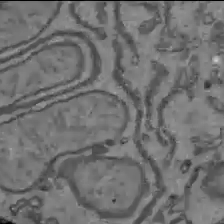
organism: C57BL Mouse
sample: Liver